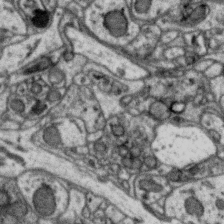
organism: Zebra finch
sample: Brain